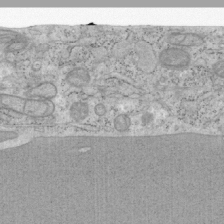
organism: Human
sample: HeLa cells